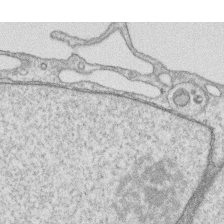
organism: Human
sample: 1205lu cells